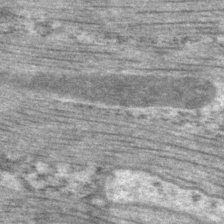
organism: P. pacificus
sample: Pharynx